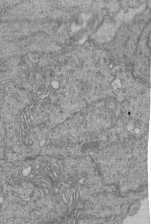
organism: Human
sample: Retinal organoid Rod and Cone cells